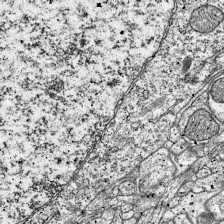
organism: Mouse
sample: Visual Cortex